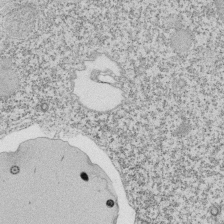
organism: Tetrahymena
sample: Cilia in tetrahymena